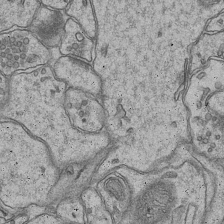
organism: Mouse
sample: CA1 Hippocampus